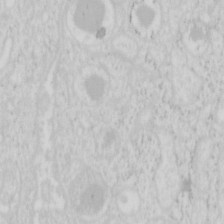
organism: Mouse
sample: Pancreas